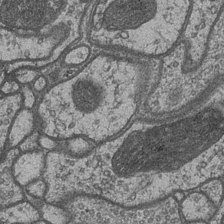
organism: Drosophila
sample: Optic medulla